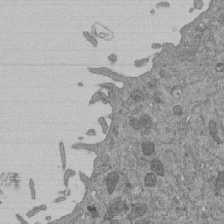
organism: Mouse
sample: ED-1 cell nuclei; centrioles